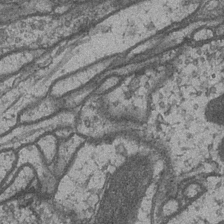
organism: Drosophila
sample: Optic medulla